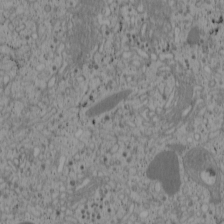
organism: African green monkey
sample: COS-7 cells